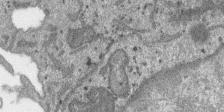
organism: Human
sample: Lung epithelial cells infected with SARS-CoV-2